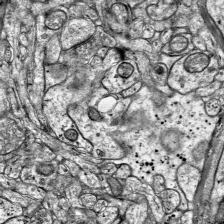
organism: Mouse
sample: Visual Cortex